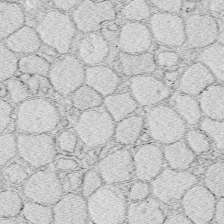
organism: Zebrafish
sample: Whole-Brain